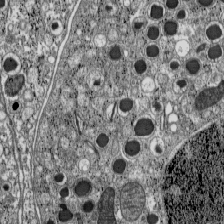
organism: C57BL Mouse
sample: Pancreatic islet